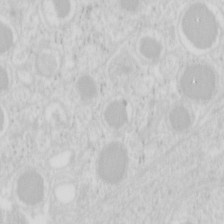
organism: Mouse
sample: Pancreas